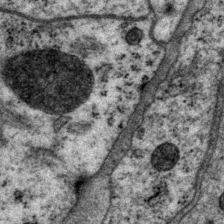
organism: P. pacificus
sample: Pharynx